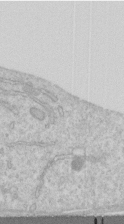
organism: Human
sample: Centriole in RPE cells